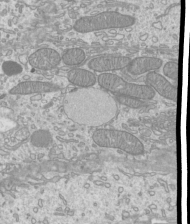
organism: Mouse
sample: Cilia; mouse epididymis